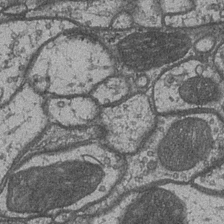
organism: Drosophila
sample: Optic medulla